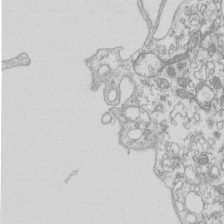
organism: Mouse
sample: Macrophages